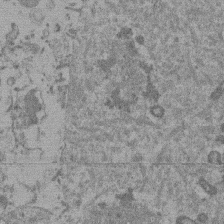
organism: Mouse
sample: Dividing mouse embryo 1 cell stage